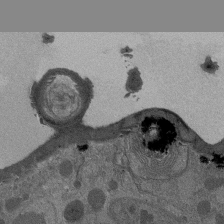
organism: Drosophila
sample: Antenna